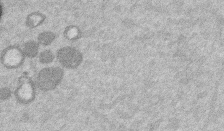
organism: Mouse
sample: Dividing mouse embryo 1 cell stage